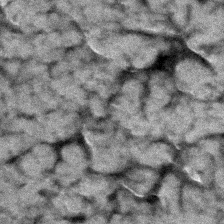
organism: Zebrafish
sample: Zebrafish embryo